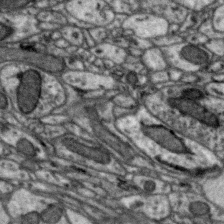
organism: Zebra finch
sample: Brain